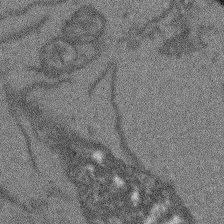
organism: Arabidopsis thaliana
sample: Root tip